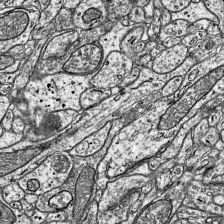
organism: Mouse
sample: Visual Cortex